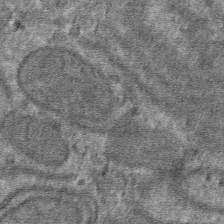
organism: Mouse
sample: Mouse hepatocytes